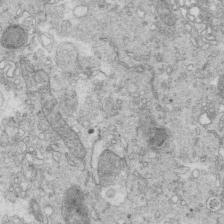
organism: Mouse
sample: Multiciliated cells